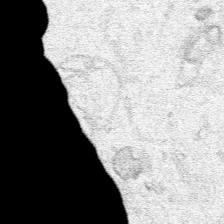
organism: Human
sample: Mitochondria in HCT116 cells